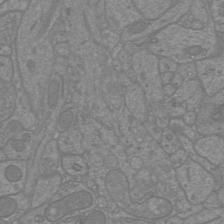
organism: Mouse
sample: Cortical neurons